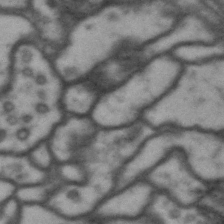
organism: Drosophila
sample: Brain